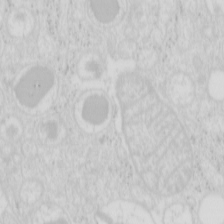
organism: Mouse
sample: Pancreas